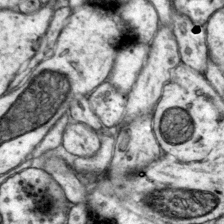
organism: Mouse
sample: Primary visual cortex